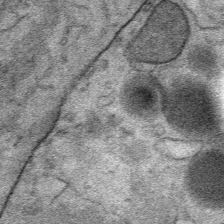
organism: Mouse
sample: Mouse Salivary gland